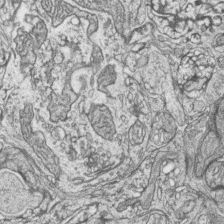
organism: Zebrafish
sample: synaptic ribbons in rod cells and cone cells